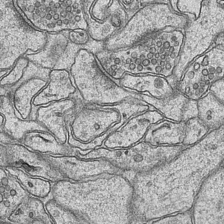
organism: Mouse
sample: CA1 Hippocampus